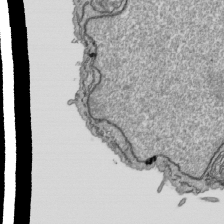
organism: Human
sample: Mitochondria in HCT116 cells